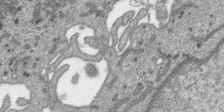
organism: Human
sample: Lung epithelial cells infected with SARS-CoV-2